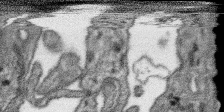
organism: Human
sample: Lung epithelial cells infected with SARS-CoV-2